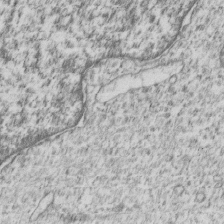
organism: Human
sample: MDA-MB-231 cells